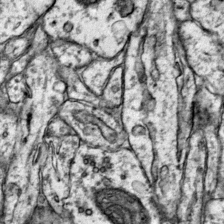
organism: Mouse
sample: Primary visual cortex